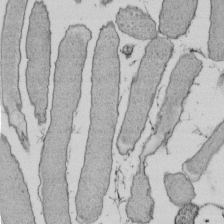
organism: E. coli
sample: Bacterial nucleoid